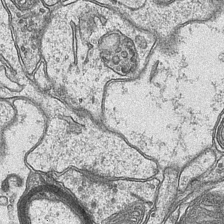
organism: Mouse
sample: CA1 Hippocampus